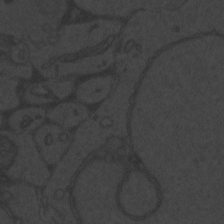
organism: Zebrafish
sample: Macrophage infected with Toxoplasma gondii